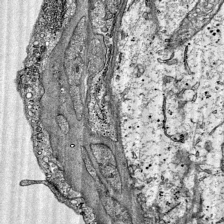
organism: Mouse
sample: Visual Cortex